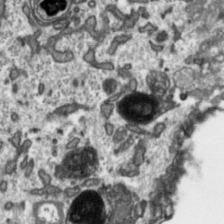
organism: Toxoplasma gondii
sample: Parasites in a vacuole inside a host cell